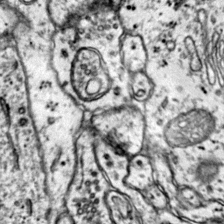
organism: Mouse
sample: Primary visual cortex